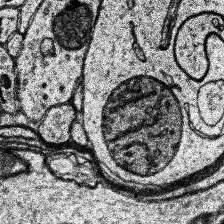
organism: Human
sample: Temporal Lobe